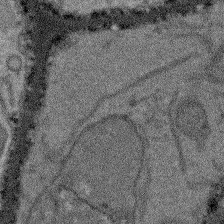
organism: Arabidopsis thaliana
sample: Root tip